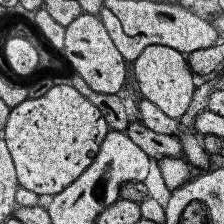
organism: Human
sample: Temporal Lobe